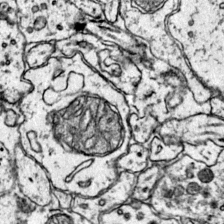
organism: Mouse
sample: Primary visual cortex